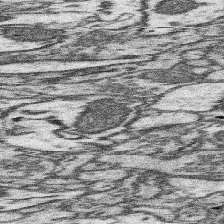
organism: Mouse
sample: Somatosensory cortex neuropil